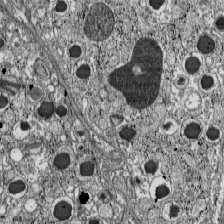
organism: C57BL Mouse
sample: Pancreatic islet